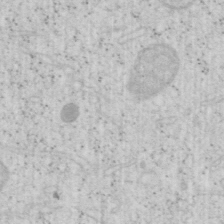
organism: Human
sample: HeLa cells